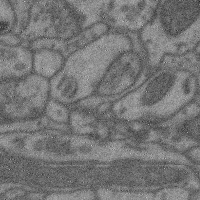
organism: Mouse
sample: Cerebral cortex